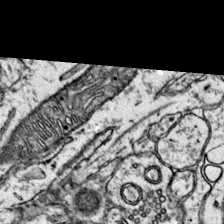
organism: Mouse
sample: Primary visual cortex